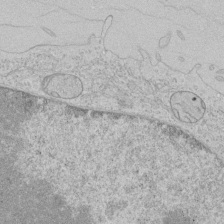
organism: Human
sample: Mitochondria in HCT116 cells